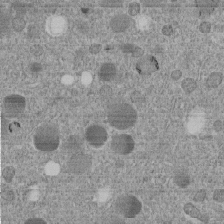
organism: C. elegans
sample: C. elegans embryo early stage